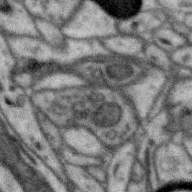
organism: Zebra finch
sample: Brain